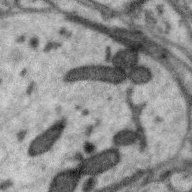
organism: Zebra finch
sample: Brain